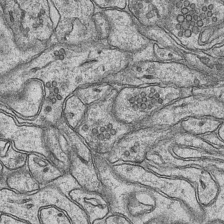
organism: Mouse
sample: CA1 Hippocampus